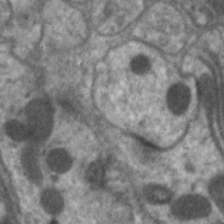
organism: C. elegans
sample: Pharynx